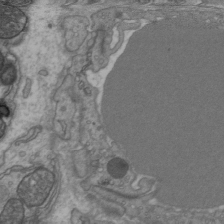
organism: C57BL Mouse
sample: Heart